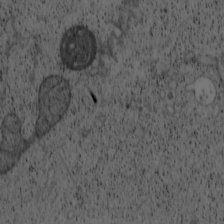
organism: African green monkey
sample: COS-7 cells